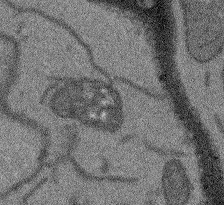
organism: Arabidopsis thaliana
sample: Root tip